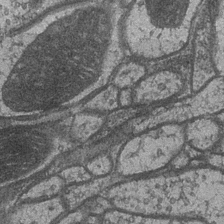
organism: Drosophila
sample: Optic medulla